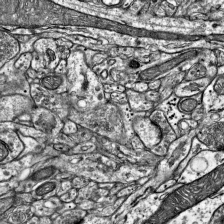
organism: Mouse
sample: Visual Cortex